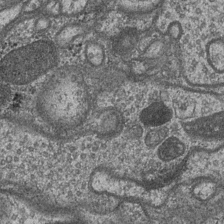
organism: Drosophila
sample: Optic medulla